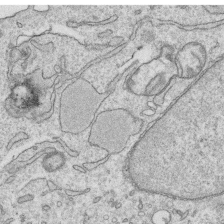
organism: Human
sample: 1205lu cells